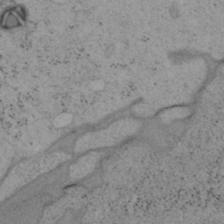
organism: Mouse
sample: OT-I killer T cells with ID8 ovarian cancer cells